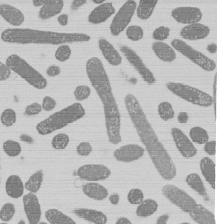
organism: E. coli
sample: Bacterial nucleoid